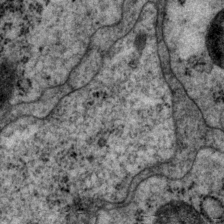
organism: P. pacificus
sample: Pharynx